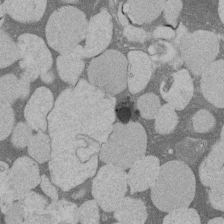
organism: Rat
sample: Salivary granule